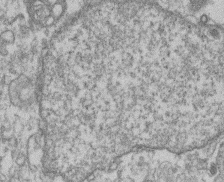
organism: Mouse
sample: T cell stromal cell synapse